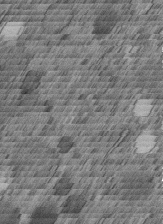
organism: C. elegans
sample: C. elegans embryo early stage